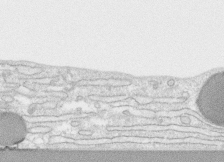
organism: Human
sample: CRL-1474